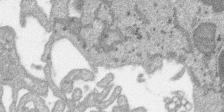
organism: Human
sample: Lung epithelial cells infected with SARS-CoV-2